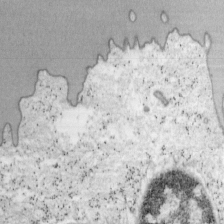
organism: Mouse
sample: OT-I killer T cells with ID8 ovarian cancer cells